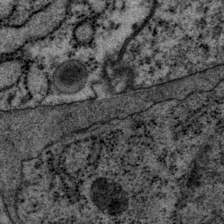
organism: P. pacificus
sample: Pharynx